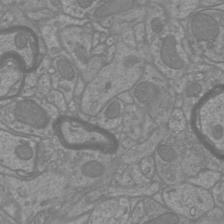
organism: Mouse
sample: Cortical neurons